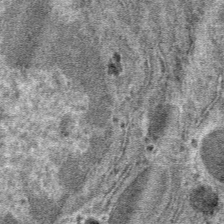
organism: Mouse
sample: Mouse hepatocytes